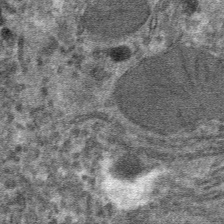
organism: Mouse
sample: Mouse hepatocytes